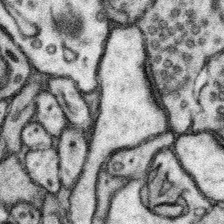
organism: Mouse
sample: Somatosensory cortex neuropil